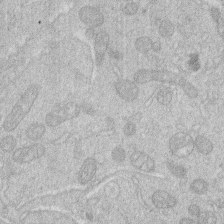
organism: Human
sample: Macrophage cells